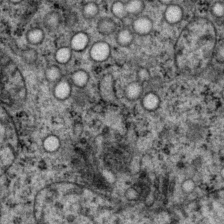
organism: P. pacificus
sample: Pharynx